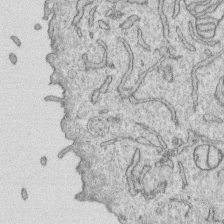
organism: Human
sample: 1205lu cells